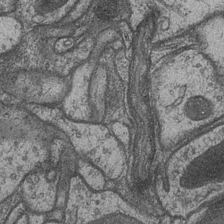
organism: Drosophila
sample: Optic medulla